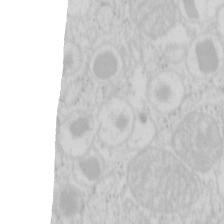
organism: Mouse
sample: Pancreas